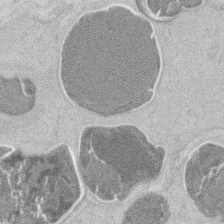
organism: Mouse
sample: T cell stromal cell synapse